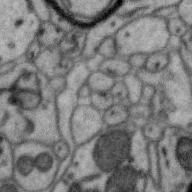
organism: Zebra finch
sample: Brain